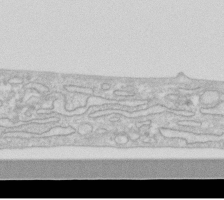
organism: Human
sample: Fibroblast cells